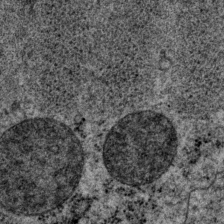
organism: P. pacificus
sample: Pharynx